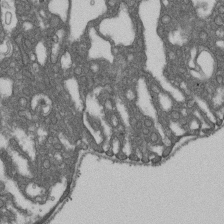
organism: Drosophila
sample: Nephrocyte